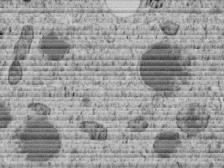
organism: C. elegans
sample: C. elegans embryo early stage